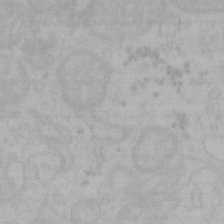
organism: Mouse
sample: Choroid plexus